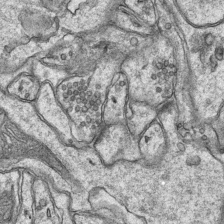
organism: Mouse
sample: CA1 Hippocampus